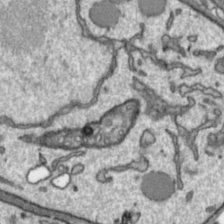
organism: Toxoplasma gondii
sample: Parasites in a vacuole inside a host cell